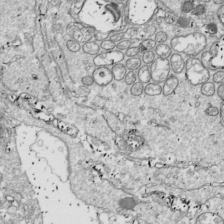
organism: Drosophila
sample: Cell division; meiosis; drosophila spermatocytes